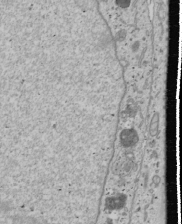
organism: Human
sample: Mitochondria in U2OS cells